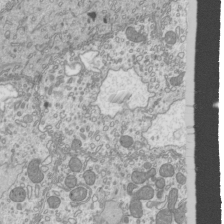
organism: Mouse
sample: Cilia; mouse epididymis